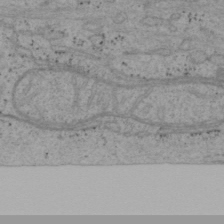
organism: Human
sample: HeLa cells